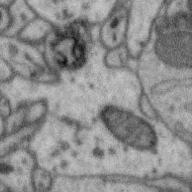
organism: Zebra finch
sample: Brain